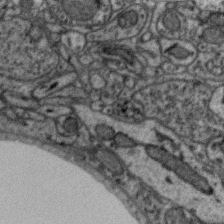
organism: Zebra finch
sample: Brain